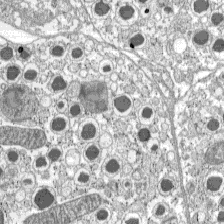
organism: C57BL Mouse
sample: Pancreatic islet